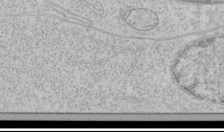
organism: Human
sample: Mitochondria in HCT116 cells